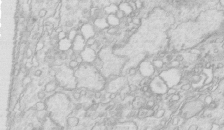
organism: Mouse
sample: Multiciliated cells